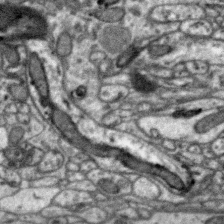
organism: Zebra finch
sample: Brain